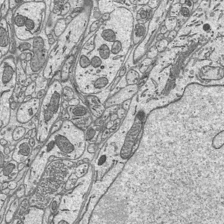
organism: Mouse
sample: Suprachiasmatic nucleus